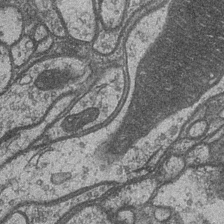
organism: Drosophila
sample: Optic medulla